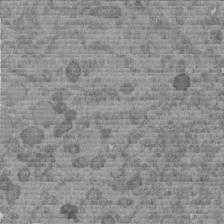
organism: C. elegans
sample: C. elegans embryo early stage